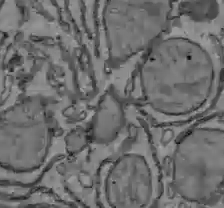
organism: C57BL Mouse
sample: Liver